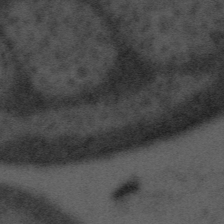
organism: Tuwongella immobilis